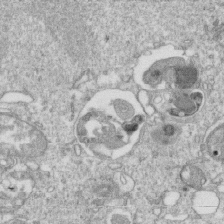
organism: Mouse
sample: Activated OT-1 CD8+ T cells